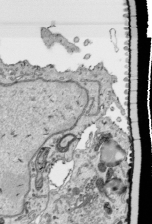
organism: Human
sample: Mitochondria in HCT116 cells